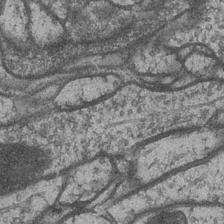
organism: Drosophila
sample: Optic medulla